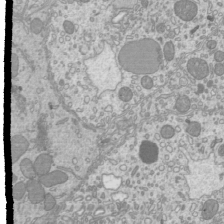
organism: Mouse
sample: Cilia; mouse epididymis